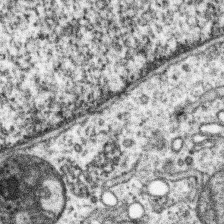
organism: Human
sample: HeLa cells